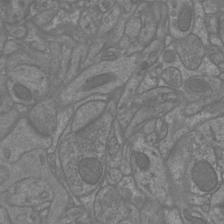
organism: Mouse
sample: Cortical neurons